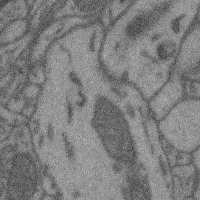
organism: Mouse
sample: Cerebral cortex